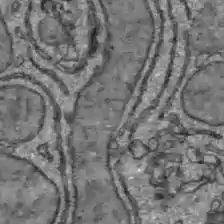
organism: C57BL Mouse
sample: Liver